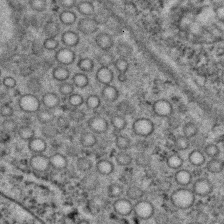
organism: C. elegans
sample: C. elegans embryo